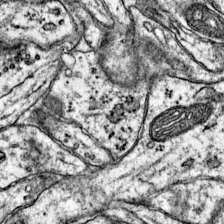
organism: Mouse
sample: Primary visual cortex